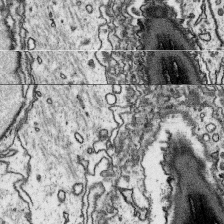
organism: Platynereis dumerilii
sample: Parapodia